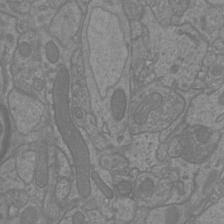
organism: Mouse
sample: Cortical neurons